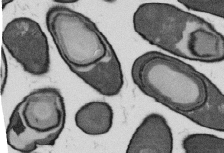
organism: B. subtilis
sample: Bacterial spore